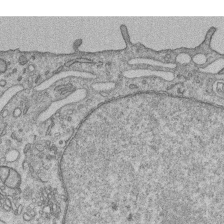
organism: Human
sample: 1205lu cells